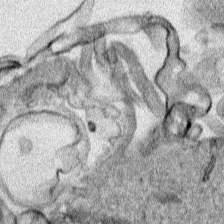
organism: Human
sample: Mitochondria in HCT116 cells